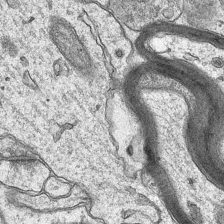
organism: Mouse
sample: CA1 Hippocampus